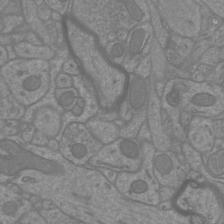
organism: Mouse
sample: Cortical neurons